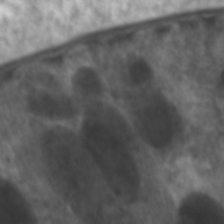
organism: C. elegans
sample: Pharynx